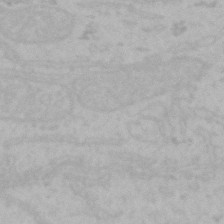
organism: Mouse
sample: Choroid plexus